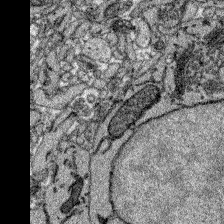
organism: Zebrafish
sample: Larval olfactory bulb